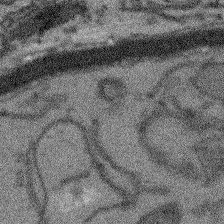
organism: Arabidopsis thaliana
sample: Root tip